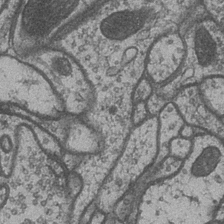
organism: Drosophila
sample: Optic medulla